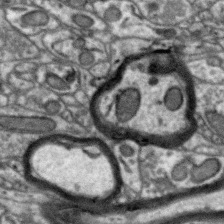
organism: Zebra finch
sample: Brain